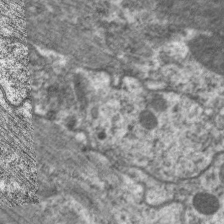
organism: C. elegans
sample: Pharynx